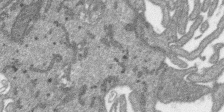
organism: Human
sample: Lung epithelial cells infected with SARS-CoV-2